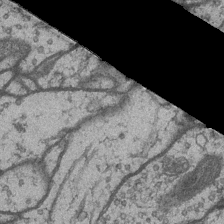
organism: Drosophila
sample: Optic medulla